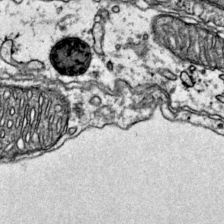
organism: Mouse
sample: Primary visual cortex